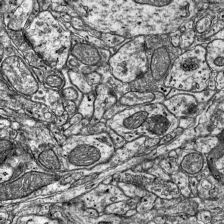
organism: Mouse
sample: Visual Cortex